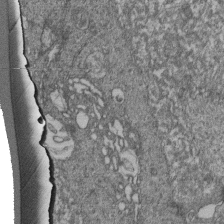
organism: Human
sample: Retinal organoid Rod and Cone cells